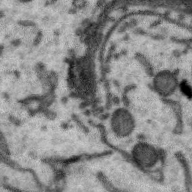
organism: Zebra finch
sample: Brain